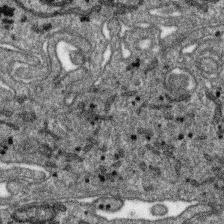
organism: Human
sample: Lung epithelial cells infected with SARS-CoV-2